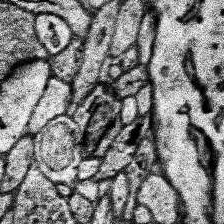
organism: Human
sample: Temporal Lobe